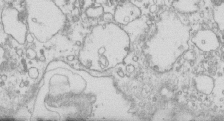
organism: Mouse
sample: Macrophages